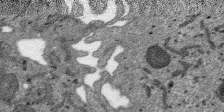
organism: Human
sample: Lung epithelial cells infected with SARS-CoV-2